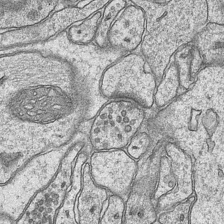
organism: Mouse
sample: CA1 Hippocampus